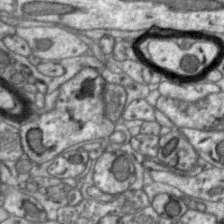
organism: Zebra finch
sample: Brain